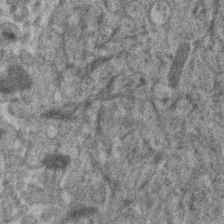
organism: Human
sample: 1205lu cells